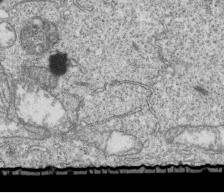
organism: Human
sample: HeLa cell HIV synapse